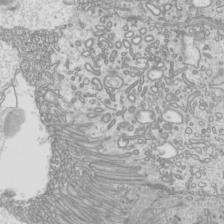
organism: Mouse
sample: Cilia; mouse epididymis